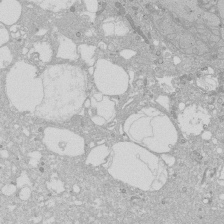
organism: Human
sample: Caco-2 cells